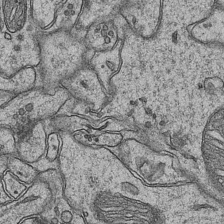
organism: Mouse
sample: CA1 Hippocampus